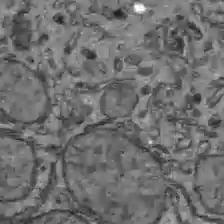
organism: C57BL Mouse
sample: Liver